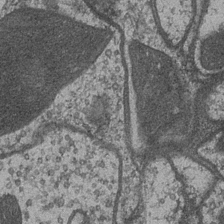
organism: Drosophila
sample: Optic medulla